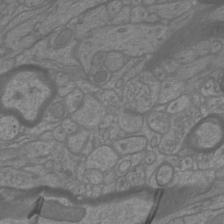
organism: Mouse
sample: Cortical neurons